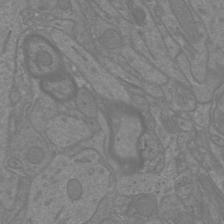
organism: Mouse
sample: Cortical neurons